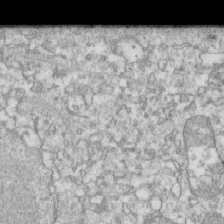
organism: Mouse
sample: Activated OT-1 CD8+ T cells